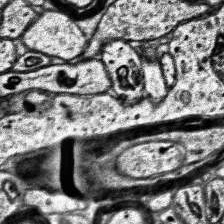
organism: Human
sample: Temporal Lobe